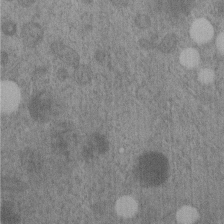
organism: C. elegans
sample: C. elegans embryo early stage